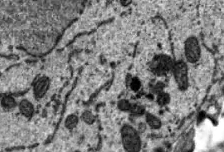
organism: Human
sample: HeLa cells